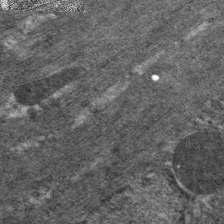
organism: C. elegans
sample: Pharynx